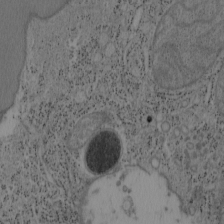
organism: Mouse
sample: OT-I killer T cells with ID8 ovarian cancer cells